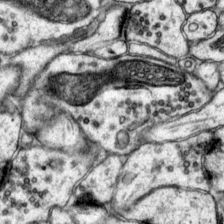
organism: Mouse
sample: Primary visual cortex